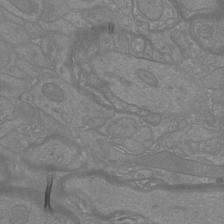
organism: Mouse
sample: Cortical neurons